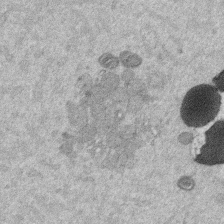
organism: Mouse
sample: Dividing mouse embryo 1 cell stage